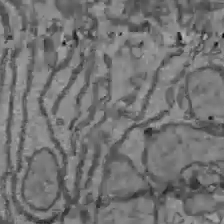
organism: C57BL Mouse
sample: Liver